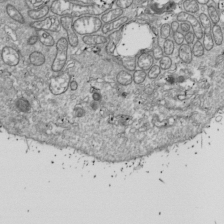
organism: Drosophila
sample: Cell division; meiosis; drosophila spermatocytes